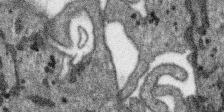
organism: Human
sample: Lung epithelial cells infected with SARS-CoV-2